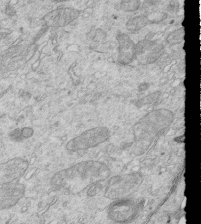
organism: Mouse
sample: Multiciliated cells